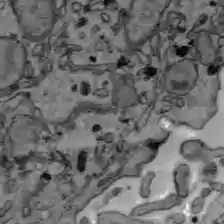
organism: C57BL Mouse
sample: Liver